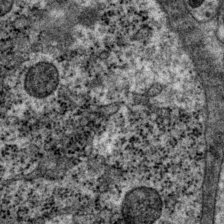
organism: P. pacificus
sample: Pharynx